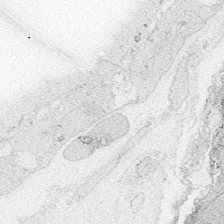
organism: Zebrafish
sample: Whole-Brain